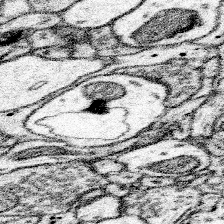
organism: Mouse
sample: Somatosensory cortex neuropil